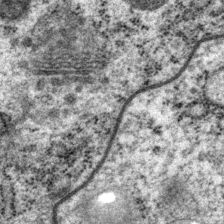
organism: P. pacificus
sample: Pharynx